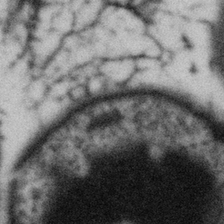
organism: Gemmata obscuriglobus